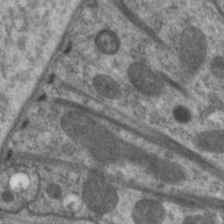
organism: C. elegans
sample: Pharynx